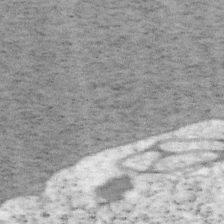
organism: Mouse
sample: OT-I killer T cells with ID8 ovarian cancer cells